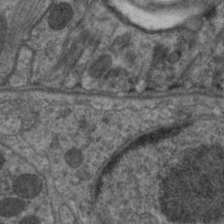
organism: C. elegans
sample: Pharynx